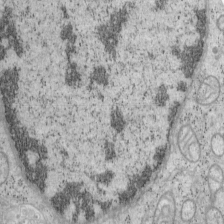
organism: Mouse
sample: OT-I killer T cells with ID8 ovarian cancer cells